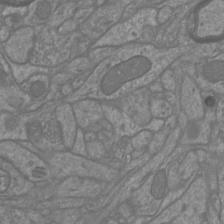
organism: Mouse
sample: Cortical neurons